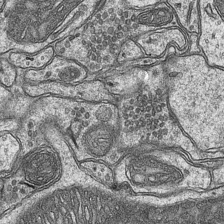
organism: Mouse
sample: CA1 Hippocampus